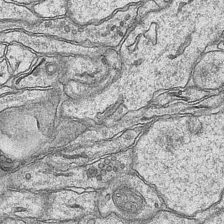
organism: Mouse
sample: CA1 Hippocampus